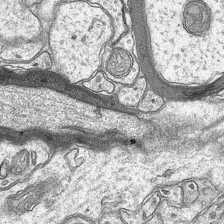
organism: Mouse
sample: CA1 Hippocampus